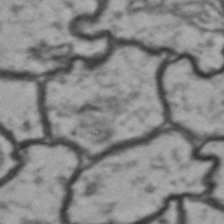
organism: Drosophila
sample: Brain